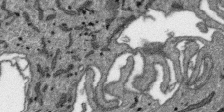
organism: Human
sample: Lung epithelial cells, uninfected (mock) control